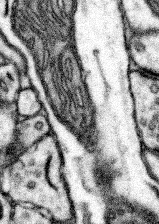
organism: Mouse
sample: Somatosensory cortex neuropil